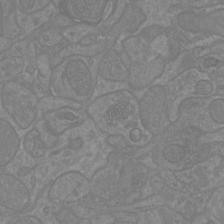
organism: Mouse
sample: Cortical neurons